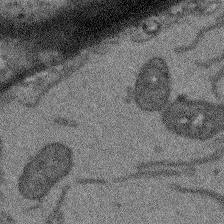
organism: Arabidopsis thaliana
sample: Root tip